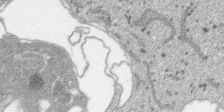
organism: Human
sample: Lung epithelial cells infected with SARS-CoV-2